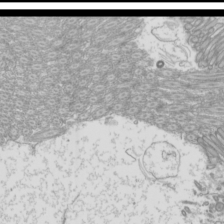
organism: Mouse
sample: Cilia; mouse epididymis